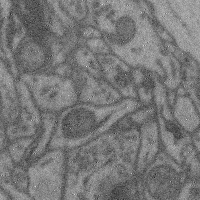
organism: Mouse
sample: Cerebral cortex